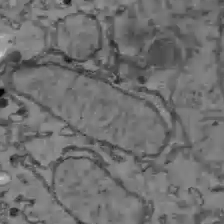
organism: C57BL Mouse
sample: Liver